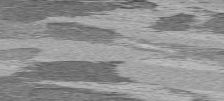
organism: C57BL Mouse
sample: Heart